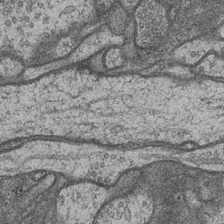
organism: Drosophila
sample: Optic medulla